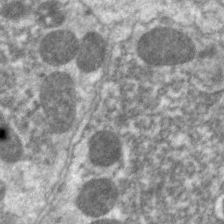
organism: C. elegans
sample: Pharynx